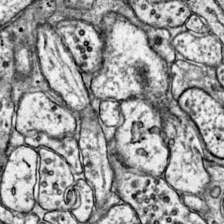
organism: Mouse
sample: Primary visual cortex